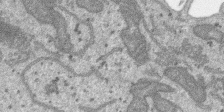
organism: Human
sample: Lung epithelial cells infected with SARS-CoV-2